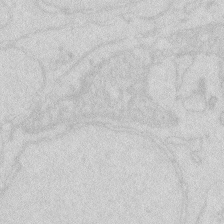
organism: Zebrafish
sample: Macrophage